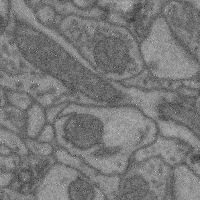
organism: Mouse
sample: Cerebral cortex